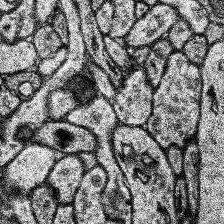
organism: Human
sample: Temporal Lobe